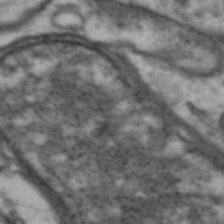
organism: Drosophila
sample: Brain